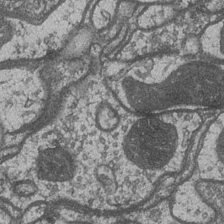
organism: Drosophila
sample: Optic medulla